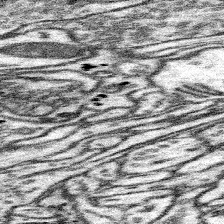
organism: Mouse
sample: Somatosensory cortex neuropil